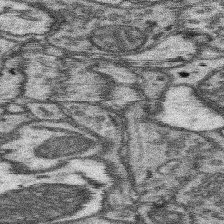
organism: Mouse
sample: Somatosensory cortex neuropil